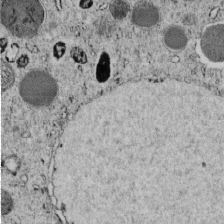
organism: C. elegans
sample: C. elegans embryo early stage